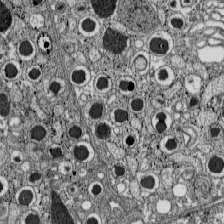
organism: C57BL Mouse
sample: Pancreatic islet